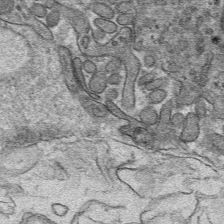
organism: Mouse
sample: Mouse hepatocytes